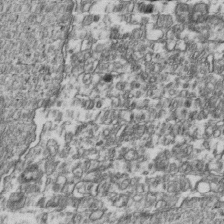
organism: Human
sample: Activated Jurkat CD4+ T cells